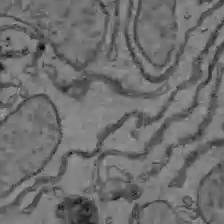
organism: C57BL Mouse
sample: Liver